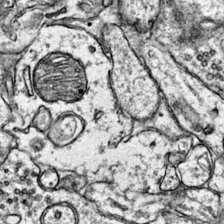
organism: Mouse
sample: Primary visual cortex